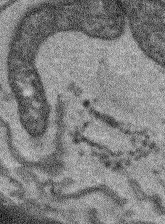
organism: Arabidopsis thaliana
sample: Root tip